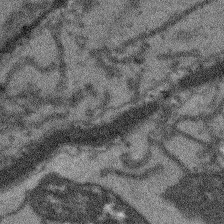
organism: Arabidopsis thaliana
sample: Root tip